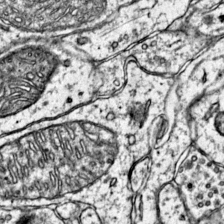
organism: Mouse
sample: Primary visual cortex